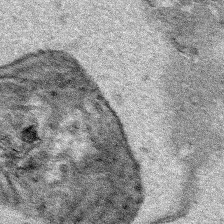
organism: Human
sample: Mitochondria in HCT116 cells